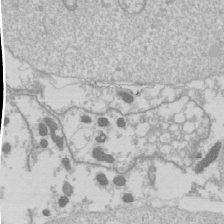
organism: Drosophila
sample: Cell division; meiosis; drosophila spermatocytes